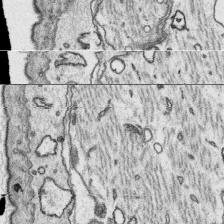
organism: Platynereis dumerilii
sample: Parapodia